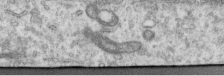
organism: Human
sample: Centriole in RPE cells